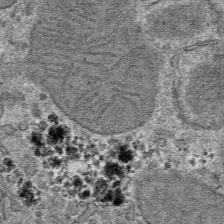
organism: Mouse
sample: Mouse hepatocytes